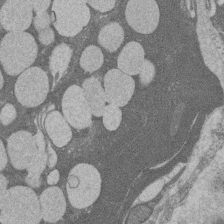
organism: Rat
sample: Salivary granule